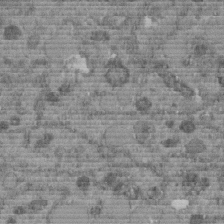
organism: C. elegans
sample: C. elegans embryo early stage